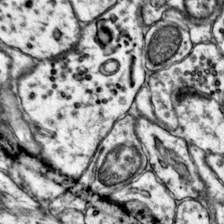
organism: Mouse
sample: Primary visual cortex